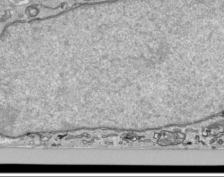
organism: Human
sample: Mitochondria in HCT116 cells